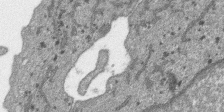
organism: Human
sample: Lung epithelial cells infected with SARS-CoV-2